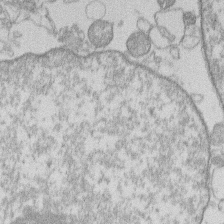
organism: Human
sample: Macrophage cells